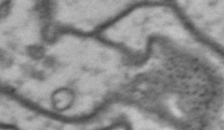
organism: Drosophila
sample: Brain